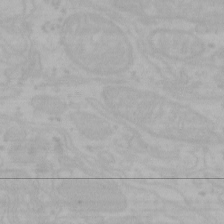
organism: Mouse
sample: Choroid plexus